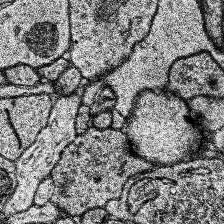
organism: Human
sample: Temporal Lobe